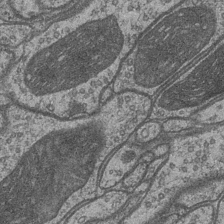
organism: Drosophila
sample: Optic medulla